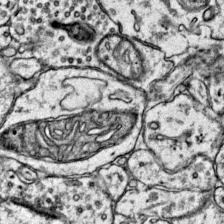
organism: Mouse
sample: Primary visual cortex